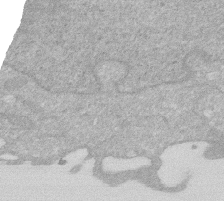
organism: Human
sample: HIV infected U937 cells